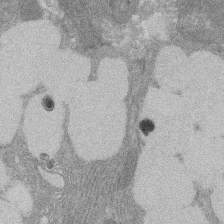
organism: Rat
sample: Salivary granule